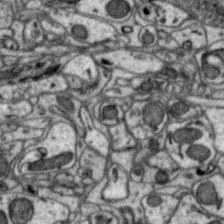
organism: Zebra finch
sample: Brain